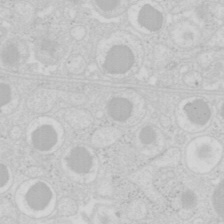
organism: Mouse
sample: Pancreas